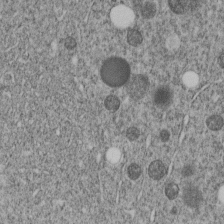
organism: C. elegans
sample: C. elegans embryo early stage